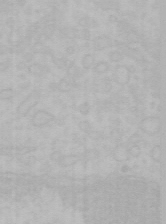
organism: Mouse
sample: Choroid plexus